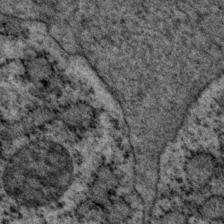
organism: P. pacificus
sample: Pharynx